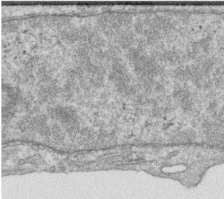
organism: Human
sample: Centriole in RPE cells